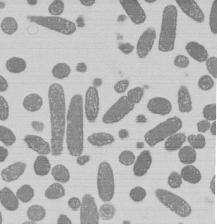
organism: E. coli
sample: Bacterial nucleoid